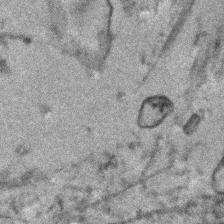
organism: Human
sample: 1205lu cells